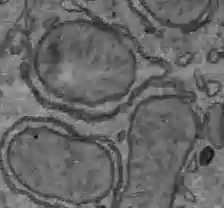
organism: C57BL Mouse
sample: Liver